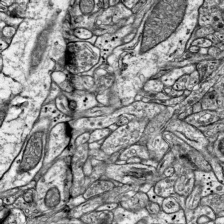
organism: Mouse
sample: Visual Cortex